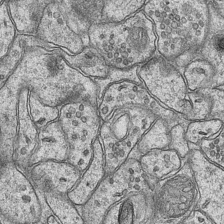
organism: Mouse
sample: CA1 Hippocampus